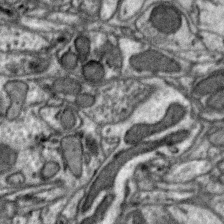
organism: Zebra finch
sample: Brain